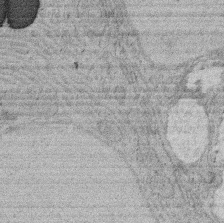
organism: Rat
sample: Salivary granule